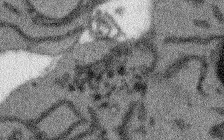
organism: Arabidopsis thaliana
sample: Root tip